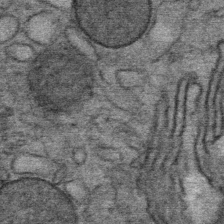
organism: Mouse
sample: Mouse Salivary gland